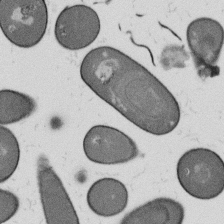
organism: B. subtilis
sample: Bacterial spore